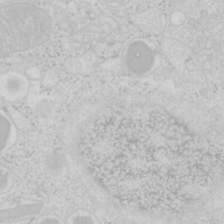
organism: Mouse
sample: Pancreas